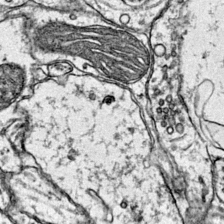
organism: Mouse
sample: Primary visual cortex